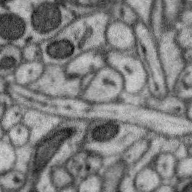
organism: Zebra finch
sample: Brain